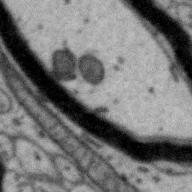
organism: Zebra finch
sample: Brain